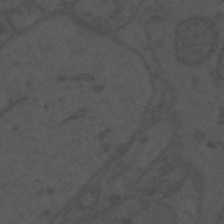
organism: Mouse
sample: Suprachiasmatic nucleus